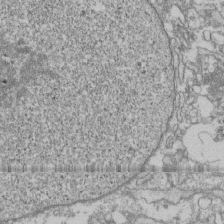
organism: Human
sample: Fibroblast cells